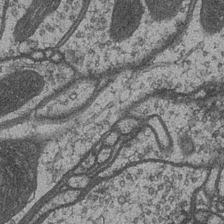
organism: Drosophila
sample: Optic medulla